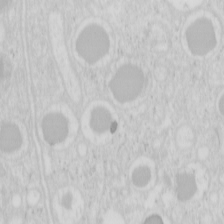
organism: Mouse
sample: Pancreas